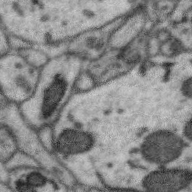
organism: Zebra finch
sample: Brain